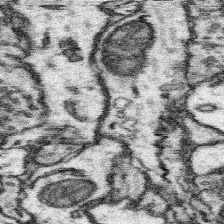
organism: Mouse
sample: Somatosensory cortex neuropil